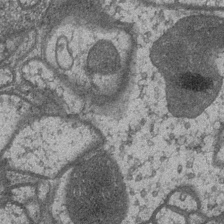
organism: Drosophila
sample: Optic medulla